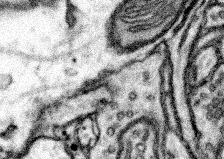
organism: Mouse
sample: Somatosensory cortex neuropil